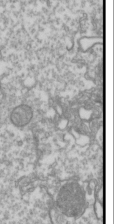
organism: Drosophila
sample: Cell division; meiosis; drosophila spermatocytes